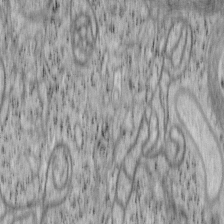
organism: Human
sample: HeLa cells